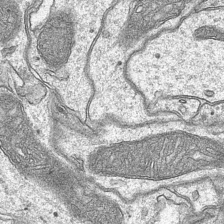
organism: Mouse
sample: CA1 Hippocampus